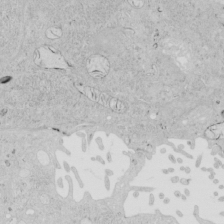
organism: Human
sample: Mitochondria in HCT116 cells